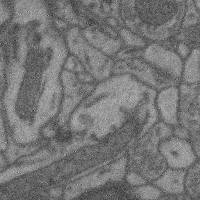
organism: Mouse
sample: Cerebral cortex